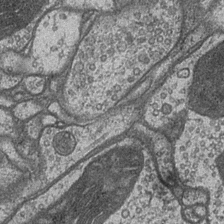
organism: Drosophila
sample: Optic medulla